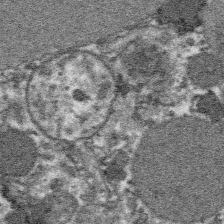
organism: Platynereis dumerilii